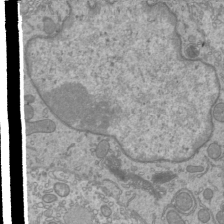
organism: Mouse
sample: Cilia; mouse epididymis